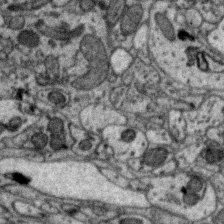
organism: Zebra finch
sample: Brain